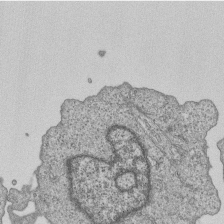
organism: Human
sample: MDA-MB-231 cells